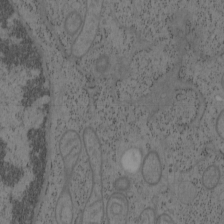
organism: Mouse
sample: OT-I killer T cells with ID8 ovarian cancer cells